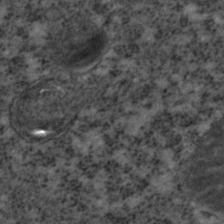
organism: C. elegans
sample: C. elegans embryo